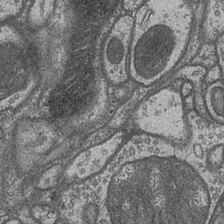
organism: Drosophila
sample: Optic medulla